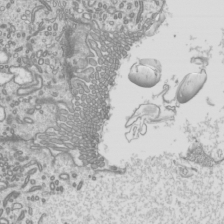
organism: Mouse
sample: Cilia; mouse epididymis